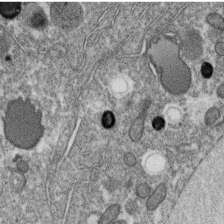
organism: C. elegans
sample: C. elegans oocyte; sperm cells